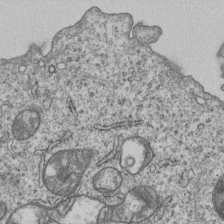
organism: Human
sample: MDA-MB-231 cells